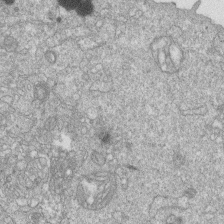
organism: Human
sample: HeLa cell HIV synapse